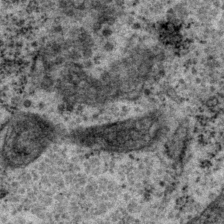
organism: P. pacificus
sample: Pharynx